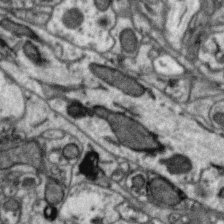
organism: Zebra finch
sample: Brain